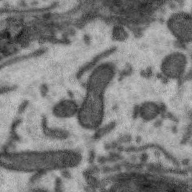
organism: Zebra finch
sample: Brain